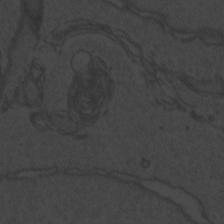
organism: Zebrafish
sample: Macrophage infected with Toxoplasma gondii